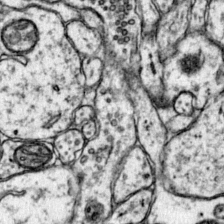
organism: Mouse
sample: Primary visual cortex